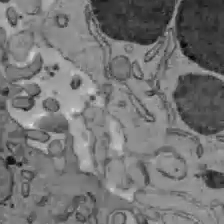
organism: C57BL Mouse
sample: Liver